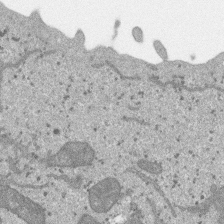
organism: Human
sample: Lung epithelial cells infected with SARS-CoV-2